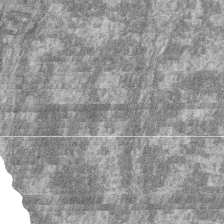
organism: Zebrafish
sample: Cilia; retinal pigment epithelium